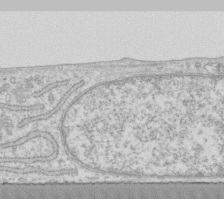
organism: Human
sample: Fibroblast cells